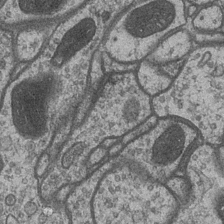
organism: Drosophila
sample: Optic medulla